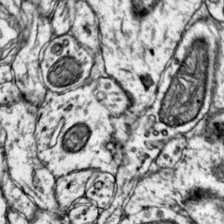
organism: Mouse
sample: Primary visual cortex